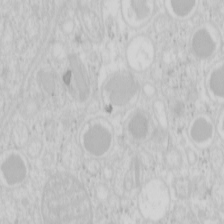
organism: Mouse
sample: Pancreas